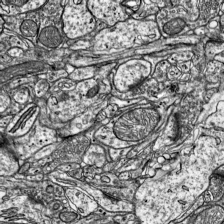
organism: Mouse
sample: Visual Cortex